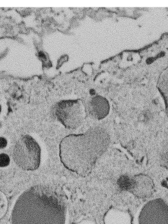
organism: C. elegans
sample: C. elegans embryo early stage